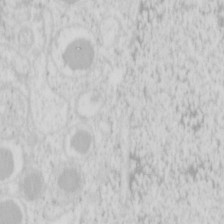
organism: Mouse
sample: Pancreas